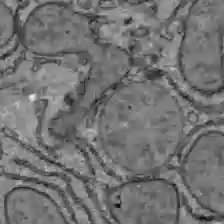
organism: C57BL Mouse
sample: Liver